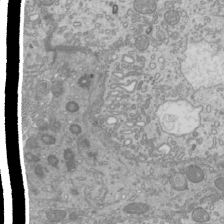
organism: Mouse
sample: Cilia; mouse epididymis